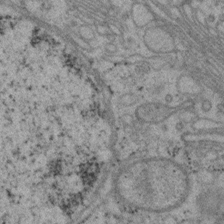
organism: Human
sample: HeLa cells